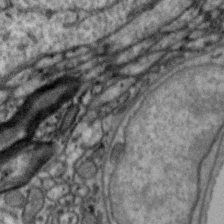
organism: Zebra finch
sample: Brain